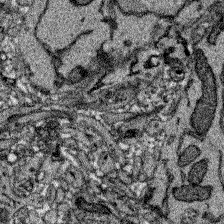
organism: Zebrafish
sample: Larval olfactory bulb